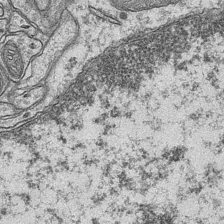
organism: Mouse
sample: CA1 Hippocampus